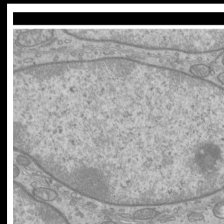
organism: Mouse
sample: Cilia; mouse epididymis